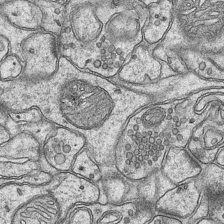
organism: Mouse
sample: CA1 Hippocampus